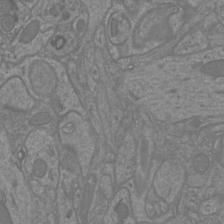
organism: Mouse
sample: Cortical neurons